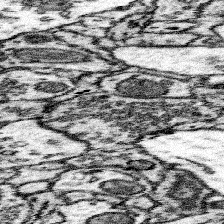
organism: Mouse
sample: Somatosensory cortex neuropil